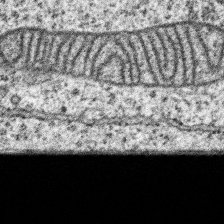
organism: Human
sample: HeLa cells